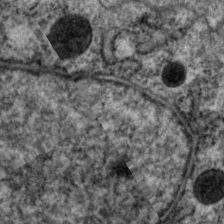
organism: P. pacificus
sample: Pharynx